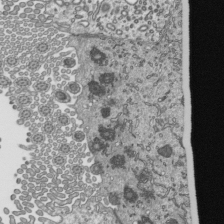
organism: Mouse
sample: Mouse epididymis efferent ductule cilia